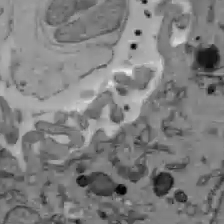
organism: C57BL Mouse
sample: Liver